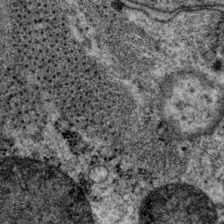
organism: P. pacificus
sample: Pharynx